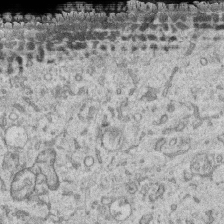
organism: Human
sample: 1205lu cells